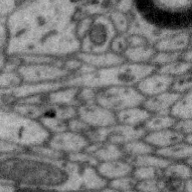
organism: Zebra finch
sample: Brain